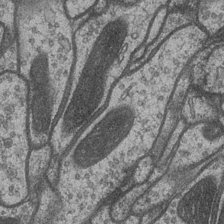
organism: Drosophila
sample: Optic medulla